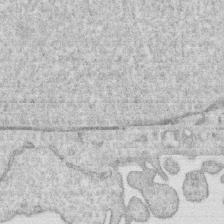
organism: Human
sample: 1205lu cells